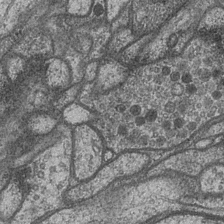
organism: Drosophila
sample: Optic medulla